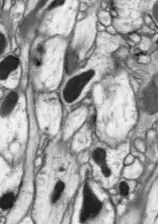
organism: Drosophila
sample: Optic lobe